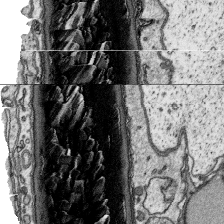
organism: Platynereis dumerilii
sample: Parapodia